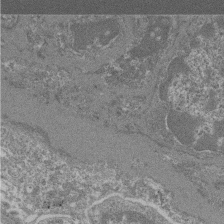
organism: Mouse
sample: Glomerulus